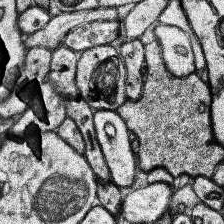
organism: Human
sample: Temporal Lobe